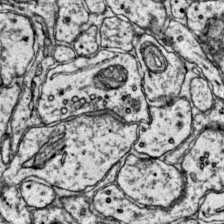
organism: Mouse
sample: Primary visual cortex